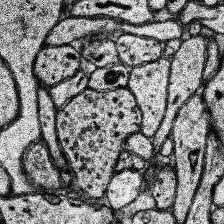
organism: Human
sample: Temporal Lobe